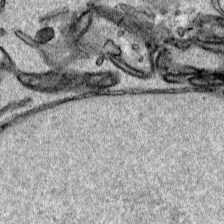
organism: Human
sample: Mitochondria in HCT116 cells